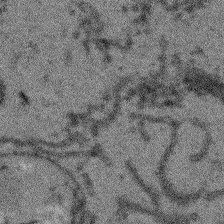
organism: Arabidopsis thaliana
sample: Root tip